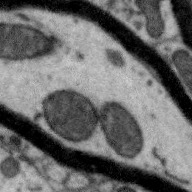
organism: Zebra finch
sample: Brain